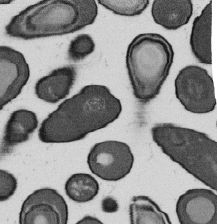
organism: B. subtilis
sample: Bacterial spore